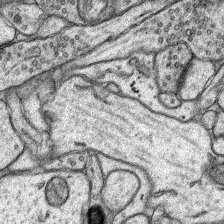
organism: Rat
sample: Hippocampus